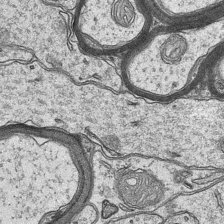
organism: Mouse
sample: CA1 Hippocampus